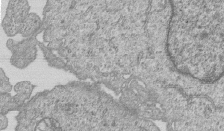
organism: Human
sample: MDA-MB-231 cells